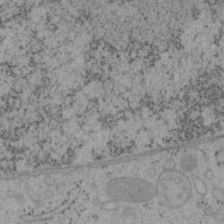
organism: Human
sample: HeLa cells